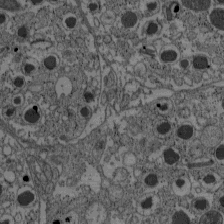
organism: C57BL Mouse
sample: Pancreatic islet